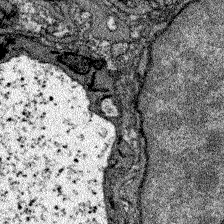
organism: Zebrafish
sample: Larval olfactory bulb